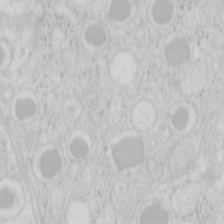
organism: Mouse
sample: Pancreas